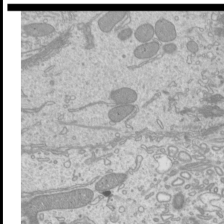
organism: Mouse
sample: Cilia; mouse epididymis